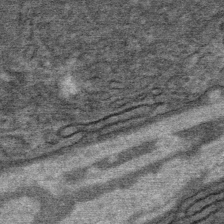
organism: Mouse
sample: Mouse Salivary gland